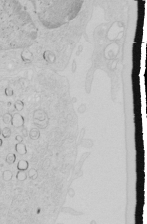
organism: Human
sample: Mitochondria in HCT116 cells